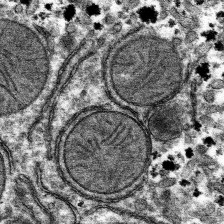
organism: Mouse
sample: Mouse hepatocytes